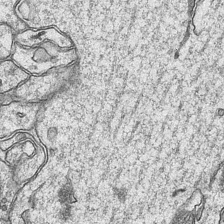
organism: Mouse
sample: CA1 Hippocampus